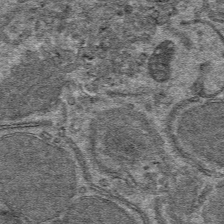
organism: Mouse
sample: Mouse hepatocytes